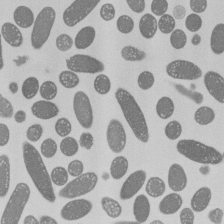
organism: E. coli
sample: Bacterial nucleoid